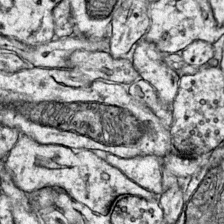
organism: Mouse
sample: Primary visual cortex